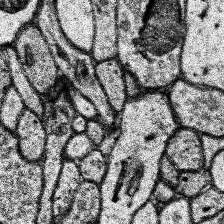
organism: Human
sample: Temporal Lobe